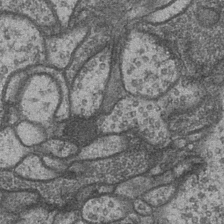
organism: Drosophila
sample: Optic medulla